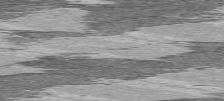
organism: C57BL Mouse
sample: Heart